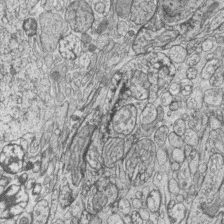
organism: Zebrafish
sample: synaptic ribbons in rod cells and cone cells